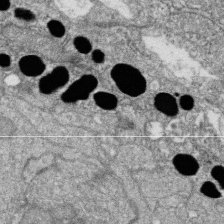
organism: Zebrafish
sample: Cilia; retinal pigment epithelium